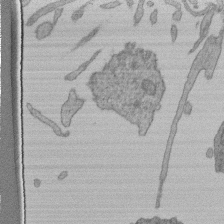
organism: Human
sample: Retinal organoid Rod and Cone cells